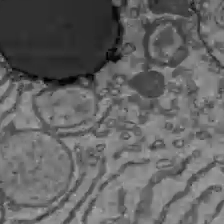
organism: C57BL Mouse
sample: Liver